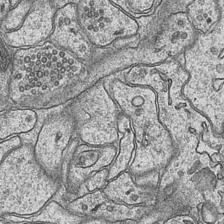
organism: Mouse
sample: CA1 Hippocampus